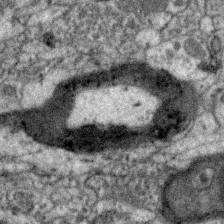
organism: Zebra finch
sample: Brain